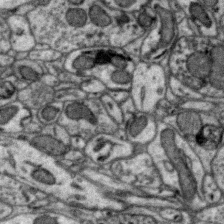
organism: Zebra finch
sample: Brain